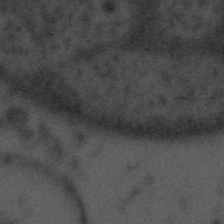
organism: Tuwongella immobilis